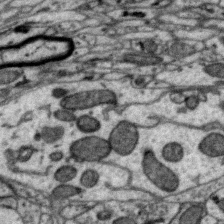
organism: Zebra finch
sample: Brain